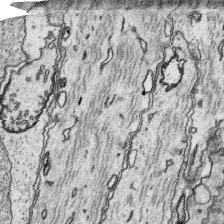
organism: Platynereis dumerilii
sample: Parapodia